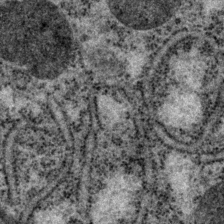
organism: P. pacificus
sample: Pharynx